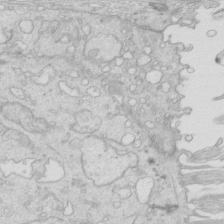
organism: Mouse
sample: Multiciliated cells